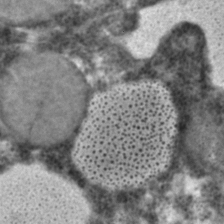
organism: C. elegans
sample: C. elegans embryo